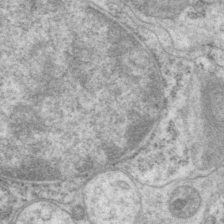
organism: P. pacificus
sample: Pharynx